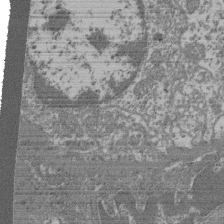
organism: Mouse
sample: Glomerulus